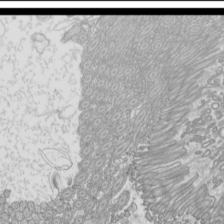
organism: Mouse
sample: Cilia; mouse epididymis